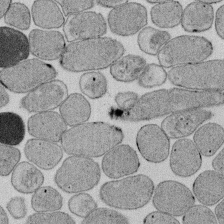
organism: E. coli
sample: Bacterial nucleoid